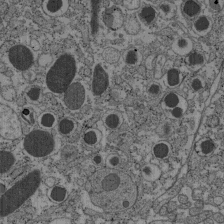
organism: C57BL Mouse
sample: Pancreatic islet